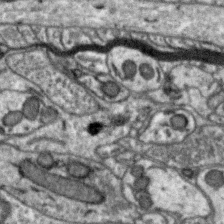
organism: Zebra finch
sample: Brain